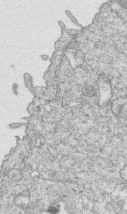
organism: Human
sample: HeLa cell HIV synapse